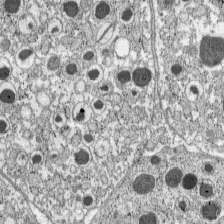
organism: C57BL Mouse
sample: Pancreatic islet